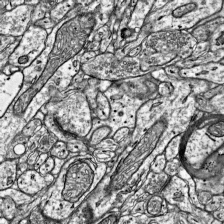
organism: Mouse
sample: Visual Cortex